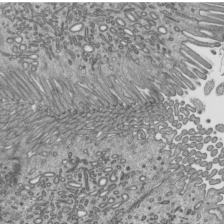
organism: Mouse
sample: Mouse epididymis efferent ductule cilia